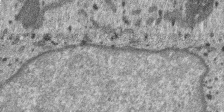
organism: Human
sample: Lung epithelial cells infected with SARS-CoV-2